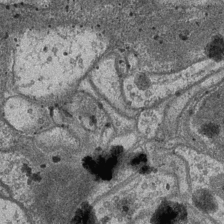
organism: Drosophila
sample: Optic medulla